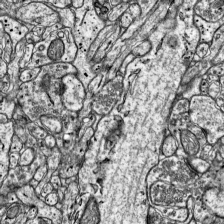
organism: Mouse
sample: Visual Cortex